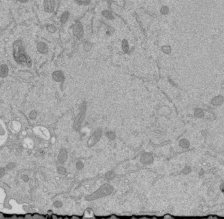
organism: Mouse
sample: ED-1 cell nuclei; centrioles